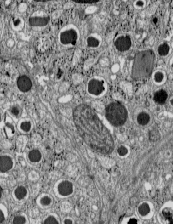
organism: C57BL Mouse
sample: Pancreatic islet